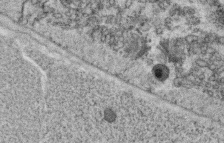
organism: C. elegans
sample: C. elegans oocyte; sperm cells